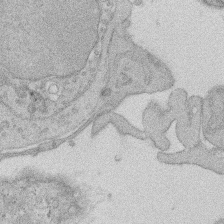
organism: Rat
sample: Salivary granule